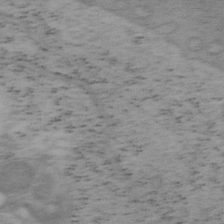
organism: Mouse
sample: OT-I killer T cells with ID8 ovarian cancer cells